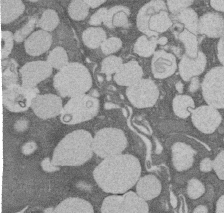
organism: Rat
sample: Salivary granule